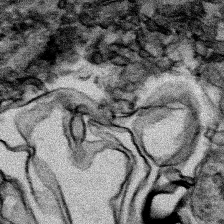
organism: Human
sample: Mitochondria in HCT116 cells